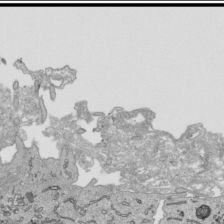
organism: Human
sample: Mitochondria in HCT116 cells